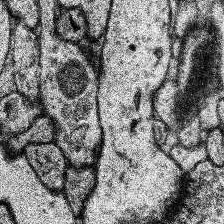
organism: Human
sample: Temporal Lobe